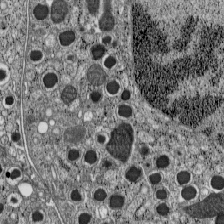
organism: C57BL Mouse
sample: Pancreatic islet